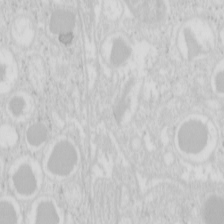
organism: Mouse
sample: Pancreas